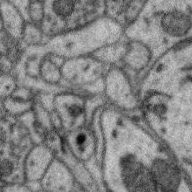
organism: Zebra finch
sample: Brain